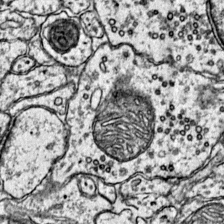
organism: Mouse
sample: Primary visual cortex